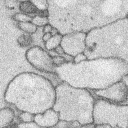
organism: Rabbit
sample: Retina